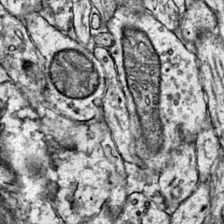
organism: Mouse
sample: Primary visual cortex